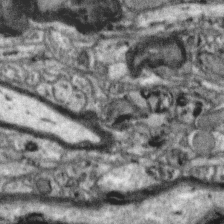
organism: Zebra finch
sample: Brain